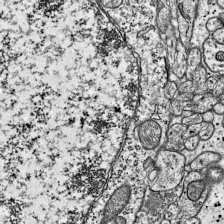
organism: Mouse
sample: Visual Cortex